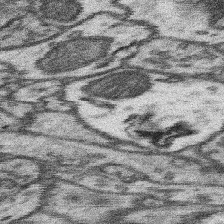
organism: Mouse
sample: Somatosensory cortex neuropil